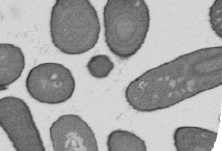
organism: B. subtilis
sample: Bacterial spore